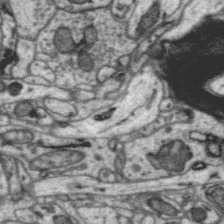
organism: Zebra finch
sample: Brain